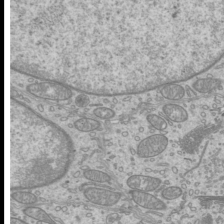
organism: Mouse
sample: Cilia; mouse epididymis